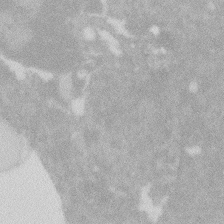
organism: Zebrafish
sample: Macrophage